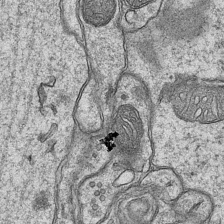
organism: Mouse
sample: CA1 Hippocampus